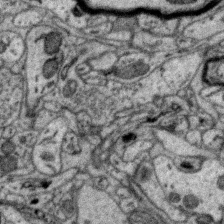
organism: Zebra finch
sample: Brain